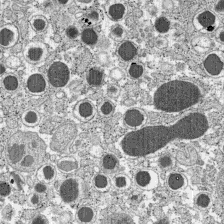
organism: C57BL Mouse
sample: Pancreatic islet